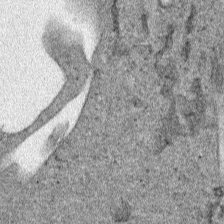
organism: Human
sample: Mitochondria in HCT116 cells